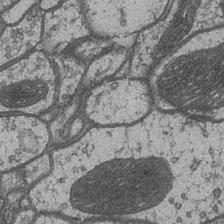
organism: Drosophila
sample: Optic medulla